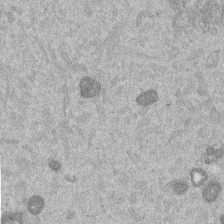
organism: Mouse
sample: Dividing mouse embryo 1 cell stage